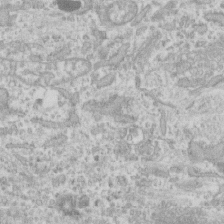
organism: Human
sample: CRL-1474